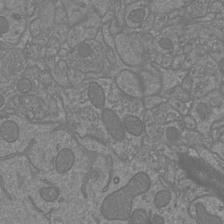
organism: Mouse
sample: Cortical neurons